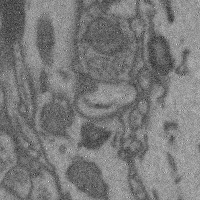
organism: Mouse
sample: Cerebral cortex